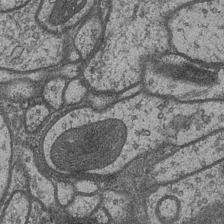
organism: Drosophila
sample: Optic medulla